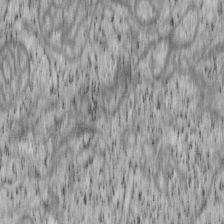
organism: Human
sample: HeLa cells